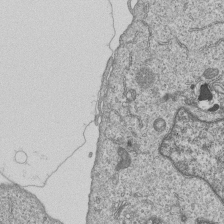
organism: Human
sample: MDA-MB-231 cells